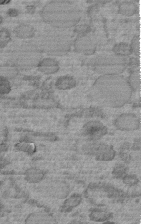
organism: C. elegans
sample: C. elegans embryo early stage